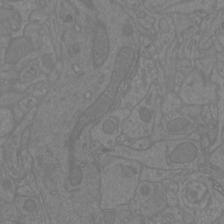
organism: Mouse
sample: Cortical neurons